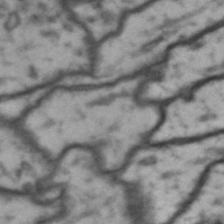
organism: Drosophila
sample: Brain